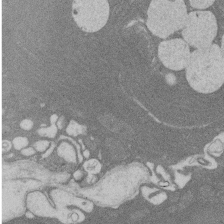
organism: Rat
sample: Salivary granule